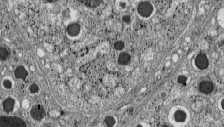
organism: C57BL Mouse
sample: Pancreatic islet